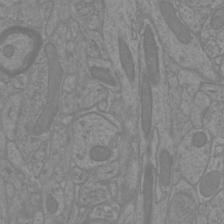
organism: Mouse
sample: Cortical neurons